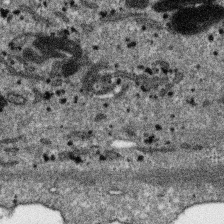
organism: Human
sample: Lung epithelial cells infected with SARS-CoV-2